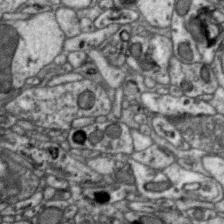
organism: Zebra finch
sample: Brain